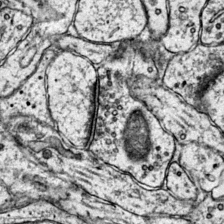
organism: Mouse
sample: Primary visual cortex